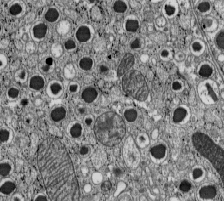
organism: C57BL Mouse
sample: Pancreatic islet